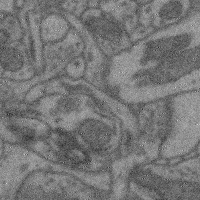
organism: Mouse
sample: Cerebral cortex